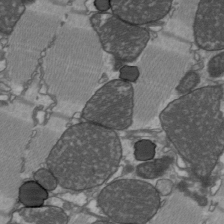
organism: C57BL Mouse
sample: Heart